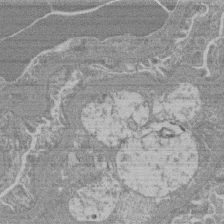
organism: Mouse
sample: Glomerulus